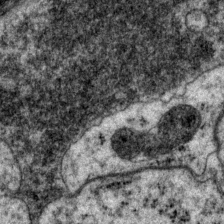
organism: P. pacificus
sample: Pharynx